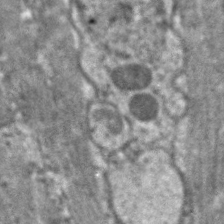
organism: C. elegans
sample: Pharynx